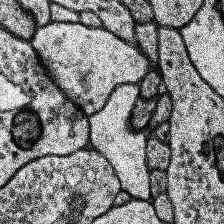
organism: Human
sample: Temporal Lobe